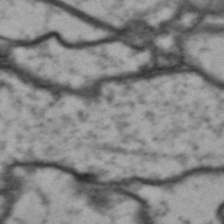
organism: Drosophila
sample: Brain